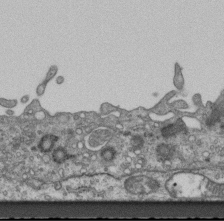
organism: Mouse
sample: Centriole in ependymal cells